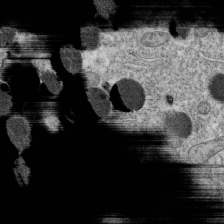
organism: C. elegans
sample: C. elegans oocyte; sperm cells